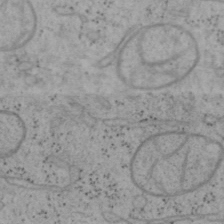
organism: Human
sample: HeLa cells